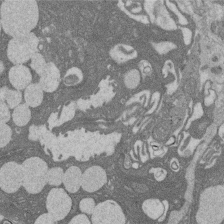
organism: Rat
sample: Salivary granule